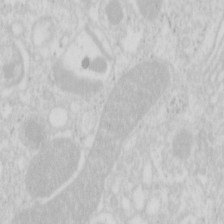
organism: Mouse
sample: Pancreas